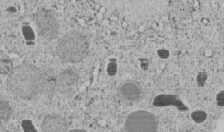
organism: C. elegans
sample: C. elegans embryo early stage